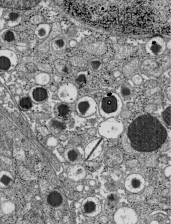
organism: C57BL Mouse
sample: Pancreatic islet